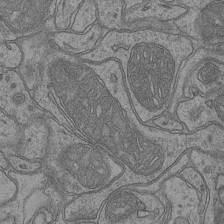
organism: Mouse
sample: CA1 Hippocampus